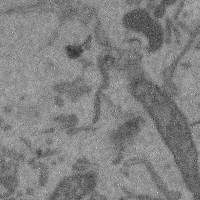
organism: Mouse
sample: Cerebral cortex